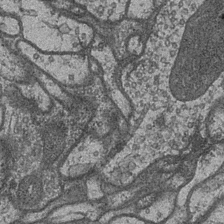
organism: Drosophila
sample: Optic medulla